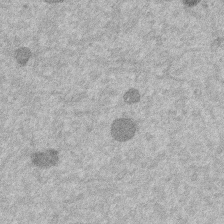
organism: Mouse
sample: Dividing mouse embryo 1 cell stage